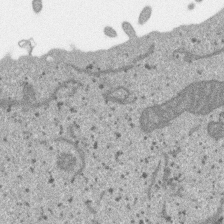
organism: Human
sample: Lung epithelial cells infected with SARS-CoV-2